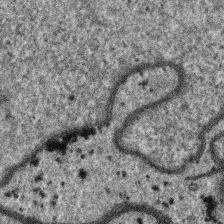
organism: Human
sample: Lung epithelial cells infected with SARS-CoV-2